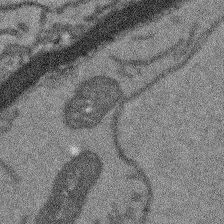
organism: Arabidopsis thaliana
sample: Root tip